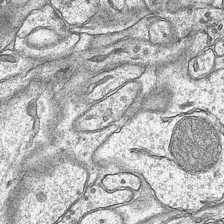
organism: Mouse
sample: CA1 Hippocampus